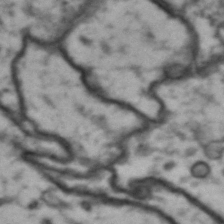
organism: Drosophila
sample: Brain